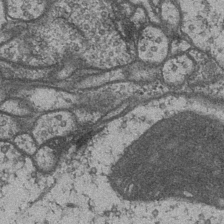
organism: Drosophila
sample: Optic medulla